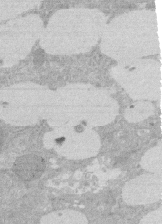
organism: Rat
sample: Salivary granule